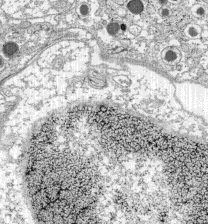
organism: C57BL Mouse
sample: Pancreatic islet